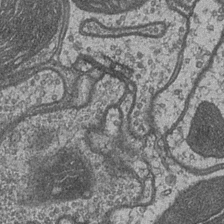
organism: Drosophila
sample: Optic medulla